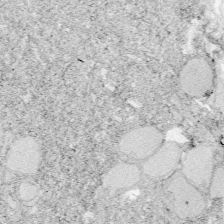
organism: Zebrafish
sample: Whole-Brain